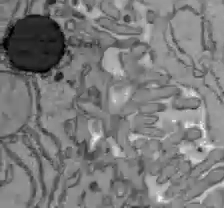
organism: C57BL Mouse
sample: Liver